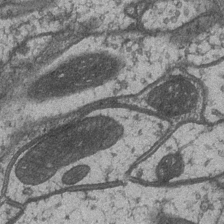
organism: Drosophila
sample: Optic medulla